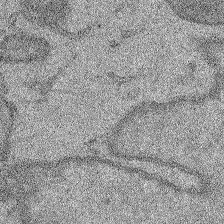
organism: Human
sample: HeLa cells